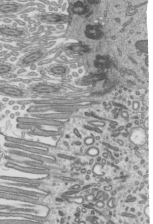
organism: Mouse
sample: Mouse epididymis efferent ductule cilia